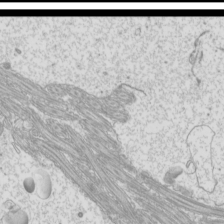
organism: Mouse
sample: Cilia; mouse epididymis